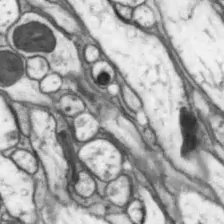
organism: Drosophila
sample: Optic lobe